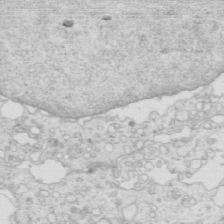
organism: Mouse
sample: Multiciliated cells